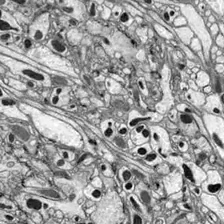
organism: Drosophila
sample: Optic lobe